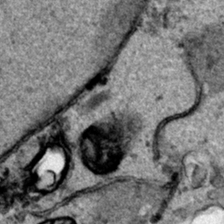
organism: Human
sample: Mitochondria in HCT116 cells